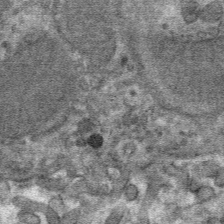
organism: Mouse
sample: Mouse hepatocytes